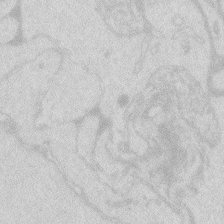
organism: Zebrafish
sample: Macrophage